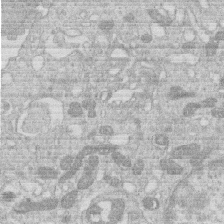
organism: Human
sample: Macrophage cells